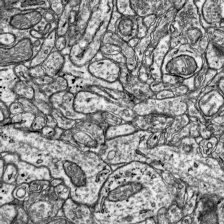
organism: Mouse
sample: Visual Cortex